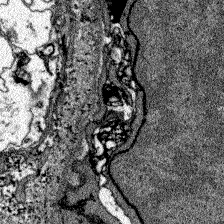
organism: Zebrafish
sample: Larval olfactory bulb